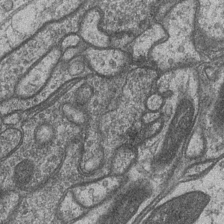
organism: Drosophila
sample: Optic medulla